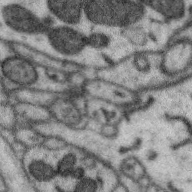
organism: Zebra finch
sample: Brain